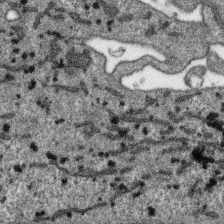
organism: Human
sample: Lung epithelial cells infected with SARS-CoV-2